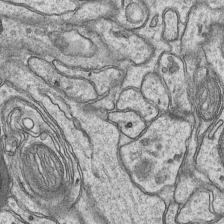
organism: Mouse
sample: CA1 Hippocampus